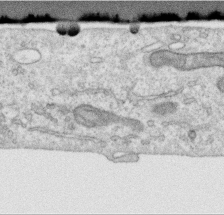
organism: Human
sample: Centriole in RPE cells